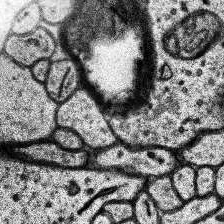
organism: Human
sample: Temporal Lobe